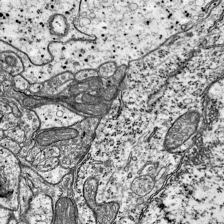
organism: Mouse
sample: Visual Cortex